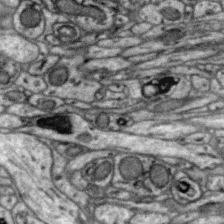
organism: Zebra finch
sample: Brain